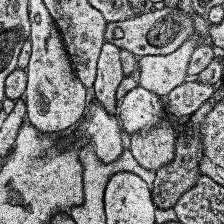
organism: Human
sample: Temporal Lobe